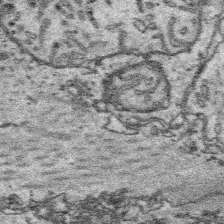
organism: Platynereis dumerilii